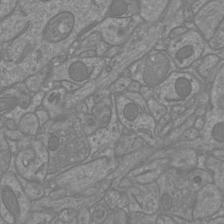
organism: Mouse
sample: Cortical neurons